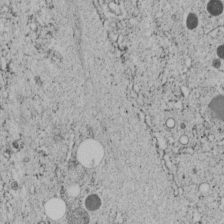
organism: C. elegans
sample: C. elegans embryo early stage